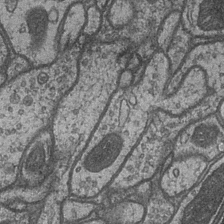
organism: Drosophila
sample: Optic medulla